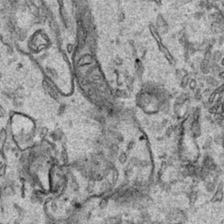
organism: Human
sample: Mitochondria in HCT116 cells